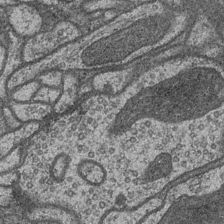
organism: Drosophila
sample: Optic medulla